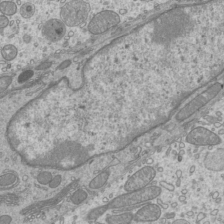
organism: Mouse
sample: Cilia; mouse epididymis